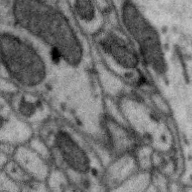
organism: Zebra finch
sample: Brain